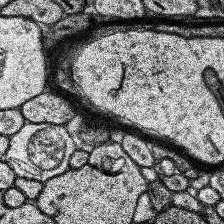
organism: Human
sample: Temporal Lobe